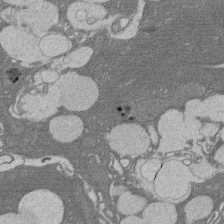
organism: Rat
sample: Salivary granule